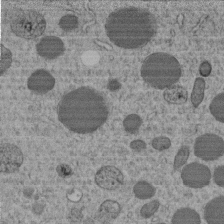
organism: C. elegans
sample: C. elegans embryo early stage